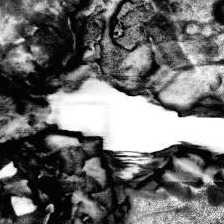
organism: Human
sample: Temporal Lobe